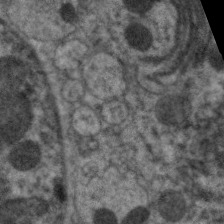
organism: C. elegans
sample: Pharynx